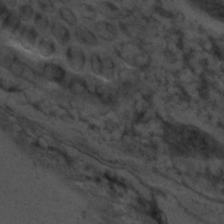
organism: C. elegans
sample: C. elegans embryo